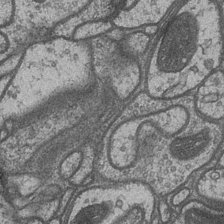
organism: Drosophila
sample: Optic medulla